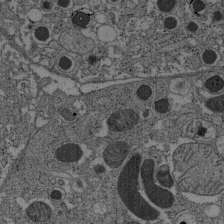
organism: C57BL Mouse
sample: Pancreatic islet